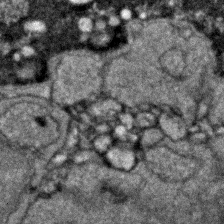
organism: Zebrafish